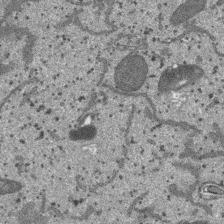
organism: Human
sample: Lung epithelial cells infected with SARS-CoV-2